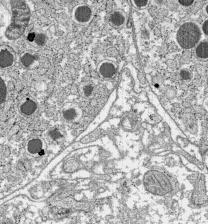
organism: C57BL Mouse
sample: Pancreatic islet